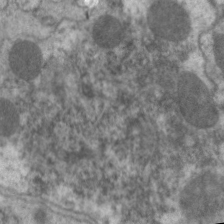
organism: C. elegans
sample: Pharynx